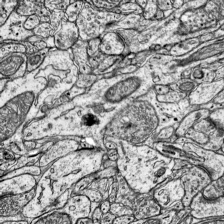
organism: Mouse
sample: Visual Cortex